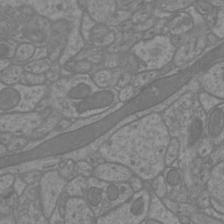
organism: Mouse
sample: Cortical neurons